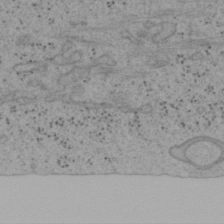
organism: Human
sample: HeLa cells